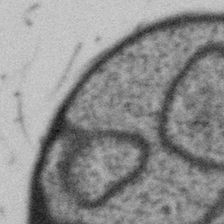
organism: Gemmata obscuriglobus